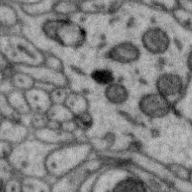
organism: Zebra finch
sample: Brain